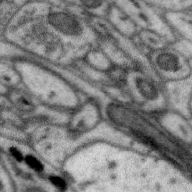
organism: Zebra finch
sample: Brain